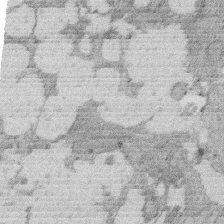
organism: Rat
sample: Salivary granule